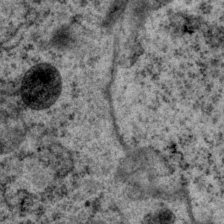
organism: P. pacificus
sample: Pharynx